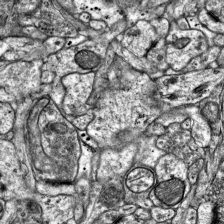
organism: Mouse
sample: Visual Cortex